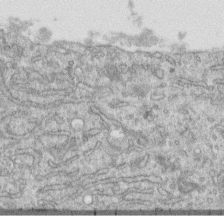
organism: Human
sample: Centriole in RPE cells